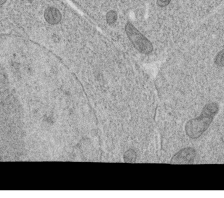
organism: C. elegans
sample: C. elegans oocyte; sperm cells